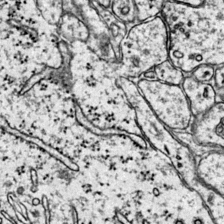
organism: Mouse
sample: Primary visual cortex